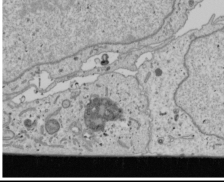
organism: Human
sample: Mitochondria in U2OS cells